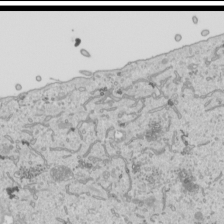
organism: Human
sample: Mitochondria in HCT116 cells